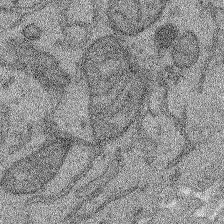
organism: Human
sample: HeLa cells